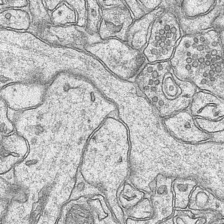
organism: Mouse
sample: CA1 Hippocampus